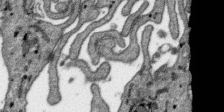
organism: Human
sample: Lung epithelial cells, uninfected (mock) control